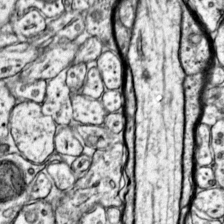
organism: Mouse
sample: Primary visual cortex